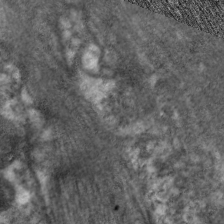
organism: C. elegans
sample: Pharynx